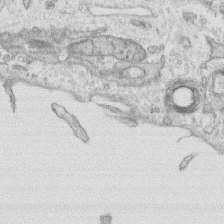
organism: Human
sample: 1205lu cells